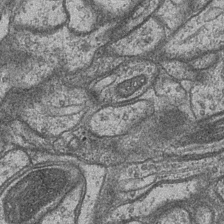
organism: Drosophila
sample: Optic medulla